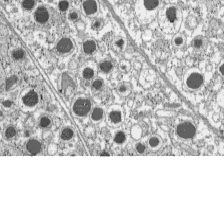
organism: C57BL Mouse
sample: Pancreatic islet